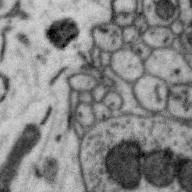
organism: Zebra finch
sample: Brain